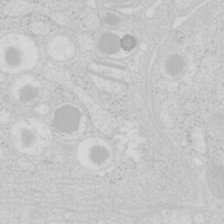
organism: Mouse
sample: Pancreas